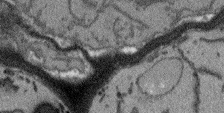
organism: Arabidopsis thaliana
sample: Root tip